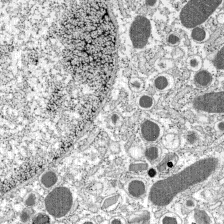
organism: C57BL Mouse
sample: Pancreatic islet